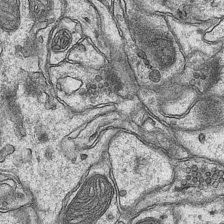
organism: Mouse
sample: CA1 Hippocampus